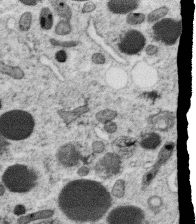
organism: C. elegans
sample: C. elegans oocyte; sperm cells